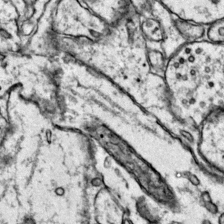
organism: Mouse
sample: Primary visual cortex